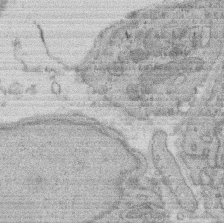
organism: Rat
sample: Salivary granule